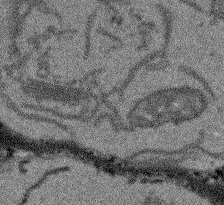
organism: Arabidopsis thaliana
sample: Root tip